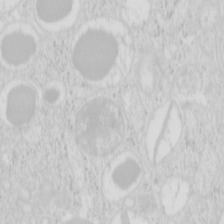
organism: Mouse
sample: Pancreas